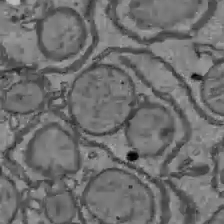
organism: C57BL Mouse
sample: Liver